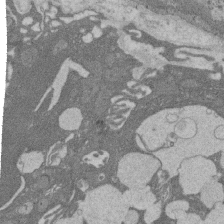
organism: Rat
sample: Salivary granule